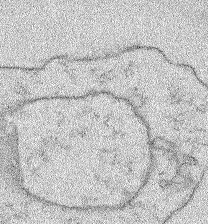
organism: Human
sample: HeLa cells